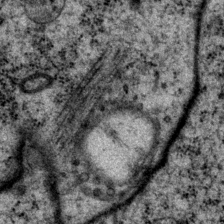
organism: P. pacificus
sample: Pharynx